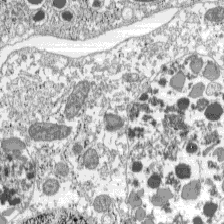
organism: C57BL Mouse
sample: Pancreatic islet